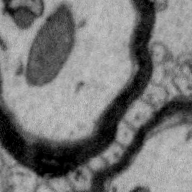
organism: Zebra finch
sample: Brain